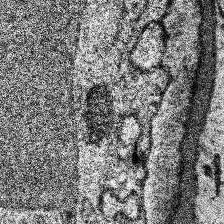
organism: Human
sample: Temporal Lobe